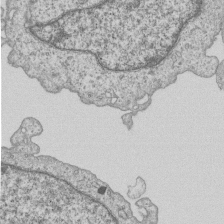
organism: Human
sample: MDA-MB-231 cells